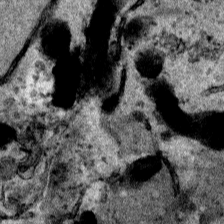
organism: Human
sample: Mitochondria in HCT116 cells